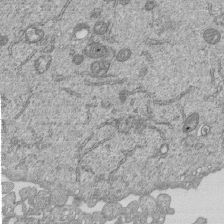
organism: Human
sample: MDA-MB-231 cells